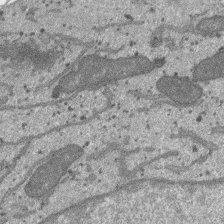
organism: Human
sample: Lung epithelial cells infected with SARS-CoV-2